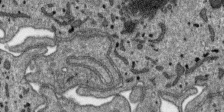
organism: Human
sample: Lung epithelial cells, uninfected (mock) control